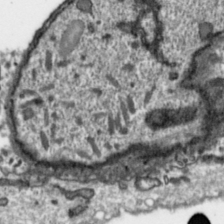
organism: Toxoplasma gondii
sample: Parasites in a vacuole inside a host cell